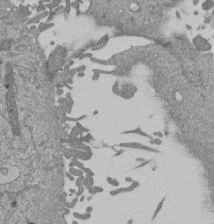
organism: Mouse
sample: ED-1 cell nuclei; centrioles